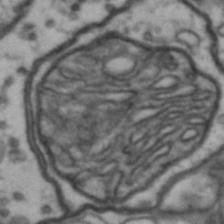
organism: Drosophila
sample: Brain